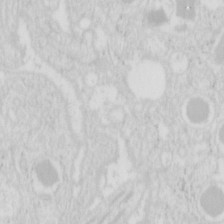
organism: Mouse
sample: Pancreas